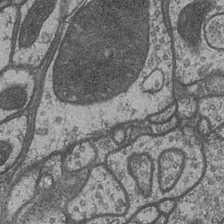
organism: Drosophila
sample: Optic medulla